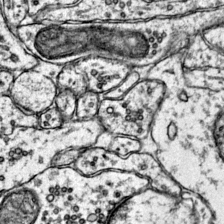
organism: Mouse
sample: Primary visual cortex